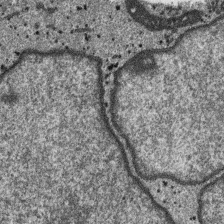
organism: Human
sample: Lung epithelial cells infected with SARS-CoV-2